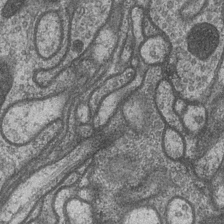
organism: Drosophila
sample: Optic medulla